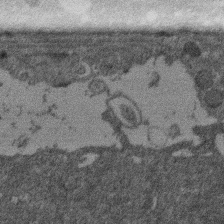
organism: Mouse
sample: Dividing mouse embryo 1 cell stage